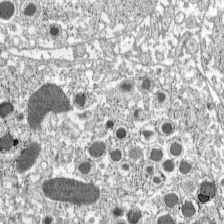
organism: C57BL Mouse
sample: Pancreatic islet